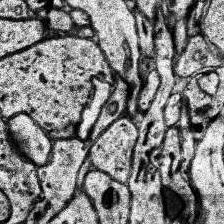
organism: Human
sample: Temporal Lobe